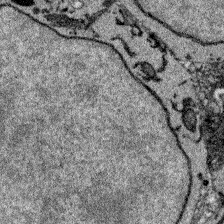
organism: Zebrafish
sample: Larval olfactory bulb